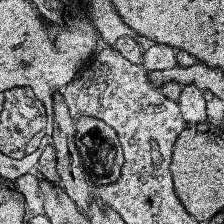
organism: Human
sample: Temporal Lobe